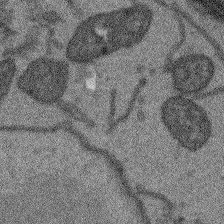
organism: Arabidopsis thaliana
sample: Root tip